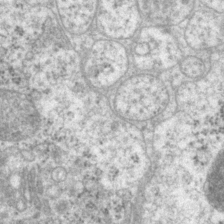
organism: P. pacificus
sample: Pharynx